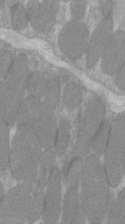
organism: C57BL Mouse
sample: Tibialis anterior muscle cell